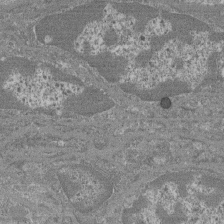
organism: Mouse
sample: Glomerulus